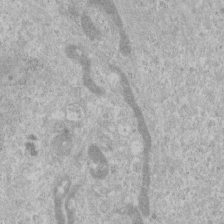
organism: Human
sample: Centriole in RPE cells